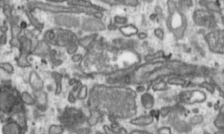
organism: Toxoplasma gondii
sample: Parasites in a vacuole inside a host cell